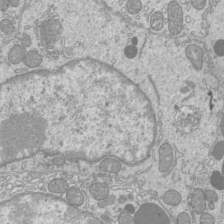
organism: Mouse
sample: Cilia; mouse epididymis